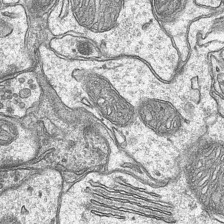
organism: Mouse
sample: CA1 Hippocampus